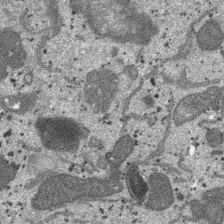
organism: Human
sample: Lung epithelial cells infected with SARS-CoV-2